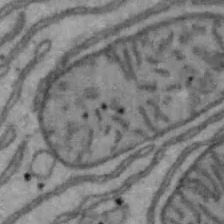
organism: Mouse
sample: Liver